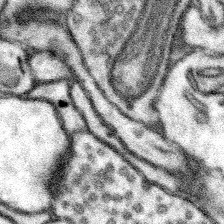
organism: Mouse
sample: Somatosensory cortex neuropil